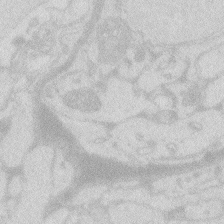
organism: Zebrafish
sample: Macrophage